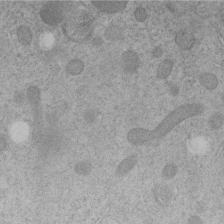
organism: C. elegans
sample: C. elegans embryo early stage